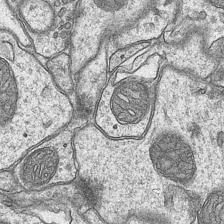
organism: Mouse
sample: CA1 Hippocampus